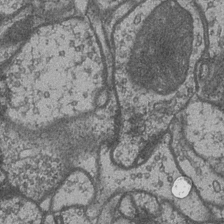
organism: Drosophila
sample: Optic medulla